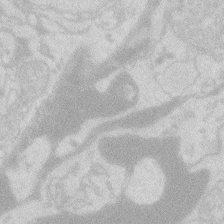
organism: Zebrafish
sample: Macrophage